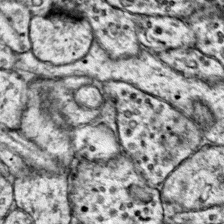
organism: Mouse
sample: Primary visual cortex